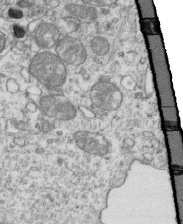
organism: Mouse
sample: Activated OT-1 CD8+ T cells